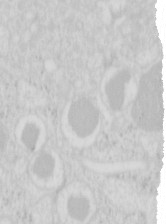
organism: Mouse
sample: Pancreas